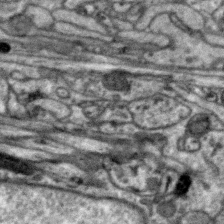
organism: Zebra finch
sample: Brain